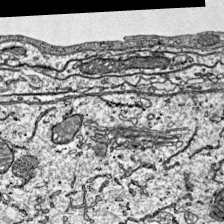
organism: Mouse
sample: Visual Cortex